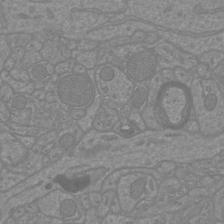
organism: Mouse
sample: Cortical neurons